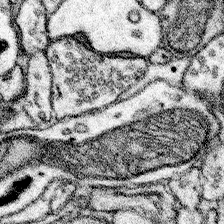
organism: Mouse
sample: Somatosensory cortex neuropil